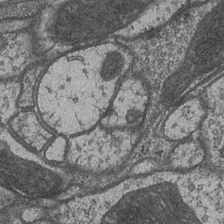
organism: Drosophila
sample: Optic medulla